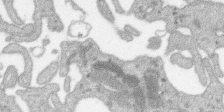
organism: Human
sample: Lung epithelial cells infected with SARS-CoV-2